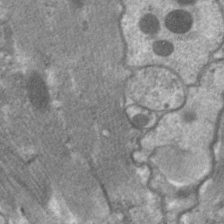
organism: C. elegans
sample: Pharynx